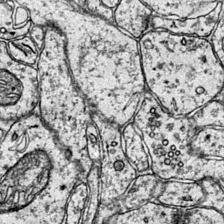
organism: Mouse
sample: Primary visual cortex